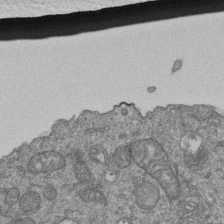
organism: Human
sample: Retinal organoid Rod and Cone cells